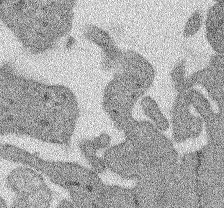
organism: Human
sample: HeLa cells